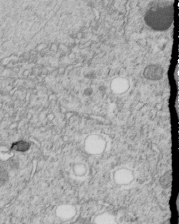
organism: C. elegans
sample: C. elegans embryo early stage